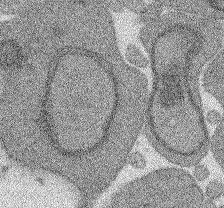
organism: Human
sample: HeLa cells